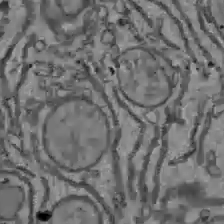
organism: C57BL Mouse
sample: Liver